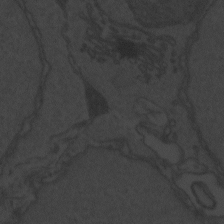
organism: Zebrafish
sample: Macrophage infected with Toxoplasma gondii